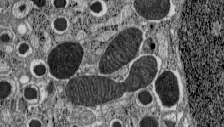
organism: C57BL Mouse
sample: Pancreatic islet